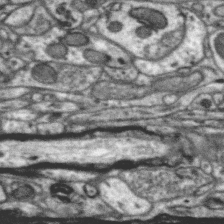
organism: Zebra finch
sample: Brain